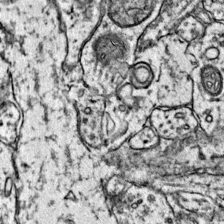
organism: Mouse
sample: Primary visual cortex